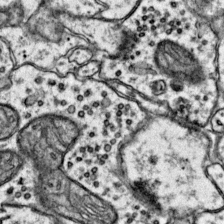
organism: Mouse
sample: Primary visual cortex